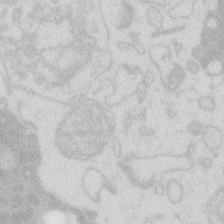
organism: Zebrafish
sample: Macrophage